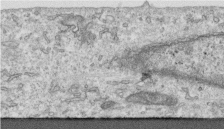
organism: Human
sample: Centriole in RPE cells